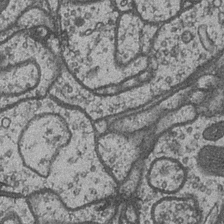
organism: Drosophila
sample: Optic medulla